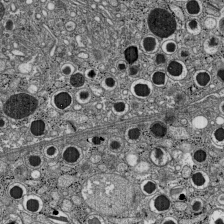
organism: C57BL Mouse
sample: Pancreatic islet